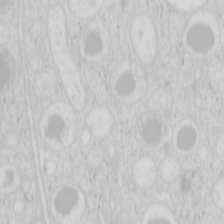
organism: Mouse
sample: Pancreas